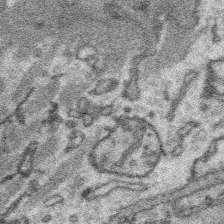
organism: Platynereis dumerilii